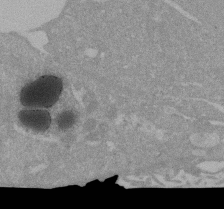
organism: Mouse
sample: ED-1 cell nuclei; centrioles